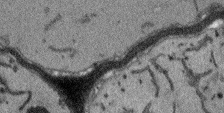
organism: Arabidopsis thaliana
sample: Root tip